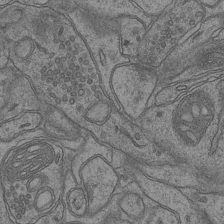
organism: Mouse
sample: CA1 Hippocampus